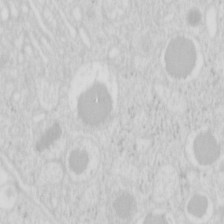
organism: Mouse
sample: Pancreas